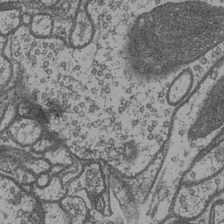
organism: Drosophila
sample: Optic medulla